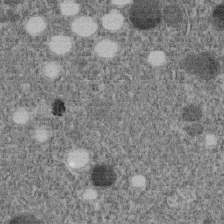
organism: C. elegans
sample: C. elegans embryo early stage